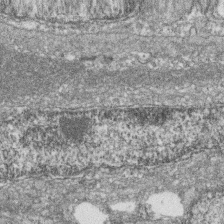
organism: Zebrafish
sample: Cilia; retinal pigment epithelium